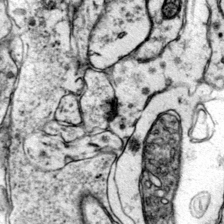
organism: Mouse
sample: Primary visual cortex